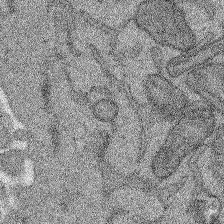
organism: Human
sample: HeLa cells